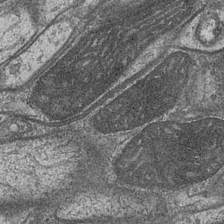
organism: Drosophila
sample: Optic medulla